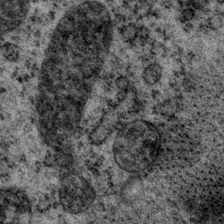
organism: P. pacificus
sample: Pharynx